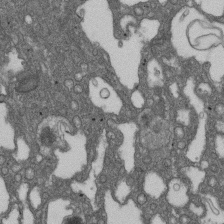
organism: Drosophila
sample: Nephrocyte